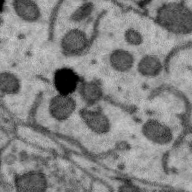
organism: Zebra finch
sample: Brain